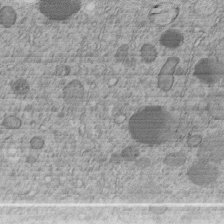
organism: C. elegans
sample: C. elegans embryo early stage